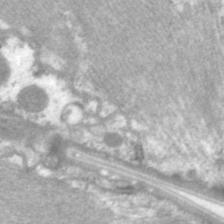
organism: C. elegans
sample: Pharynx